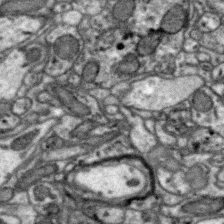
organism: Zebra finch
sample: Brain